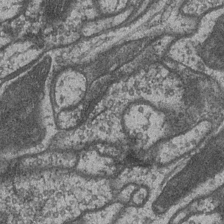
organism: Drosophila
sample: Optic medulla